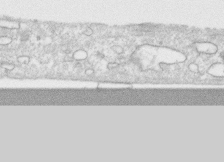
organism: Human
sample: CRL-1474